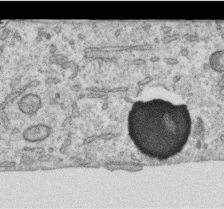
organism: Human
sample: Centriole in RPE cells